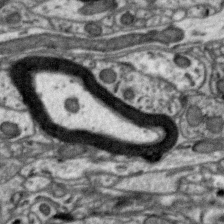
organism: Zebra finch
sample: Brain